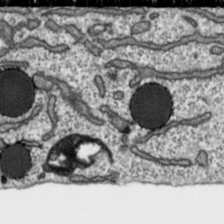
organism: Toxoplasma gondii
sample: Parasites in a vacuole inside a host cell